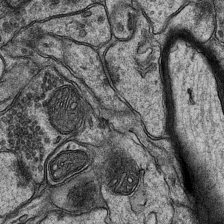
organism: Mouse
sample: CA1 Hippocampus